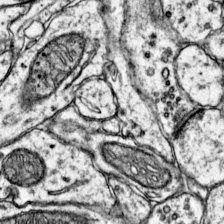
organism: Mouse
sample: Primary visual cortex